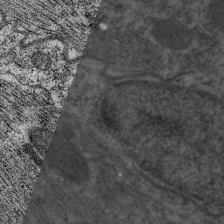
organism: C. elegans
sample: Pharynx